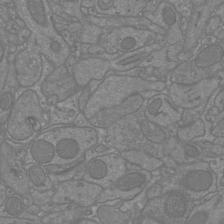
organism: Mouse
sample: Cortical neurons